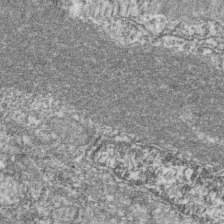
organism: Zebrafish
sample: Cilia; retinal pigment epithelium